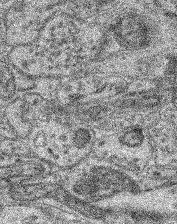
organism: Mouse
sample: Retina